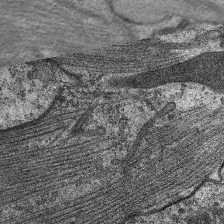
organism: C. elegans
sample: Pharynx